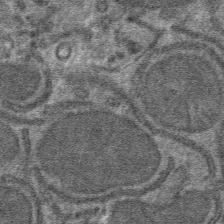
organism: Mouse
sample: Mouse hepatocytes